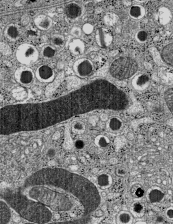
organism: C57BL Mouse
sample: Pancreatic islet